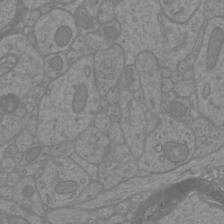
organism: Mouse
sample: Cortical neurons